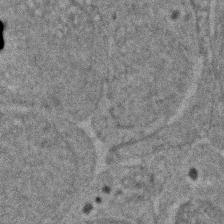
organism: Zebrafish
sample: Zebrafish embryo